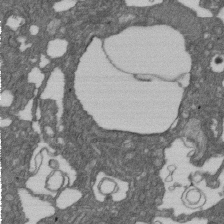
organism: Drosophila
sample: Nephrocyte